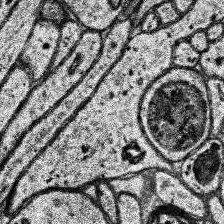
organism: Human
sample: Temporal Lobe